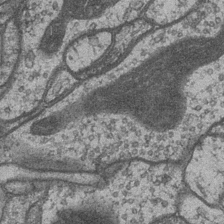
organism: Drosophila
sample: Optic medulla